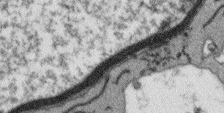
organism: Arabidopsis thaliana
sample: Root tip